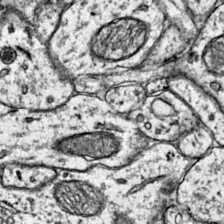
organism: Mouse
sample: Primary visual cortex